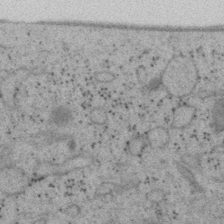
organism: Human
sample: HeLa cells